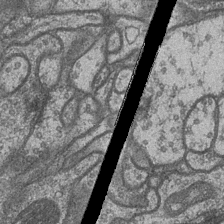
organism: Drosophila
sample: Optic medulla